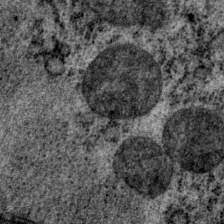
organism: P. pacificus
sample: Pharynx